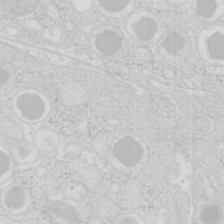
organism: Mouse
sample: Pancreas